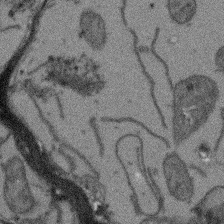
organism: Arabidopsis thaliana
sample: Root tip